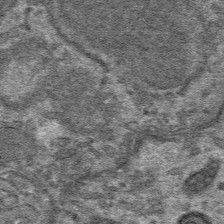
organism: Mouse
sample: Mouse hepatocytes